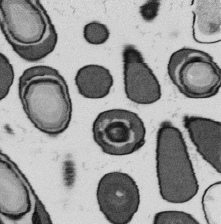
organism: B. subtilis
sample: Bacterial spore